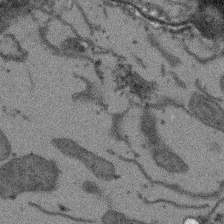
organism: Arabidopsis thaliana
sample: Root tip